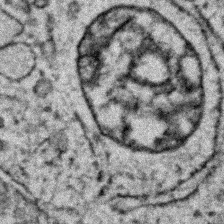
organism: Zebrafish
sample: Zebrafish embryo